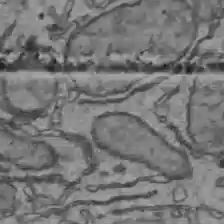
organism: C57BL Mouse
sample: Liver